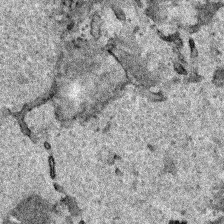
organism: Human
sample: Mitochondria in HCT116 cells